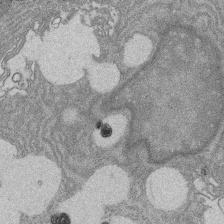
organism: Rat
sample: Salivary granule